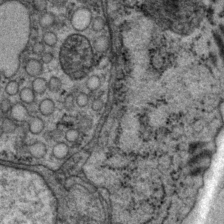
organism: P. pacificus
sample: Pharynx